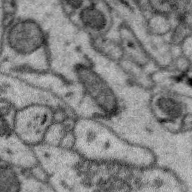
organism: Zebra finch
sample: Brain